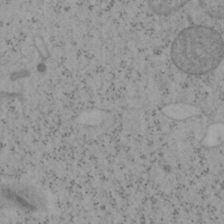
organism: Mouse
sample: OT-I killer T cells with ID8 ovarian cancer cells